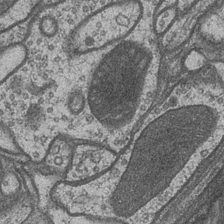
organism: Drosophila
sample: Optic medulla